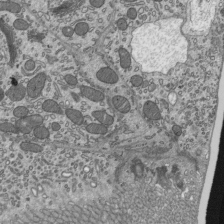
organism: Mouse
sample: Mouse epididymis efferent ductule cilia